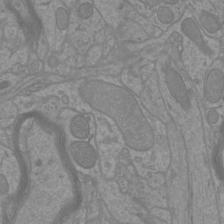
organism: Mouse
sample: Cortical neurons